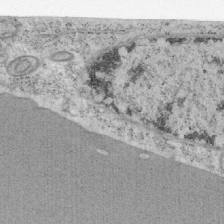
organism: Human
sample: HeLa cells